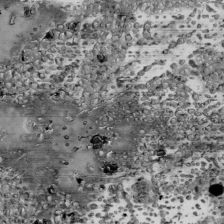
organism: Mouse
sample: ED-1 cell nuclei; centrioles